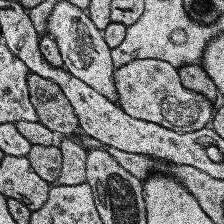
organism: Human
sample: Temporal Lobe